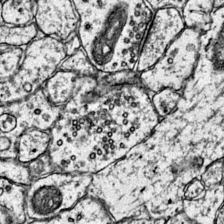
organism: Mouse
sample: Primary visual cortex